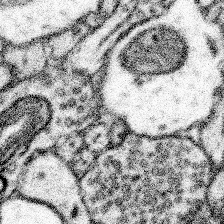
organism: Mouse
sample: Somatosensory cortex neuropil